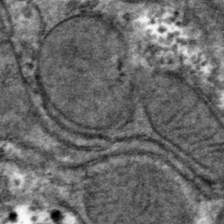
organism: Mouse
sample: Mouse hepatocytes